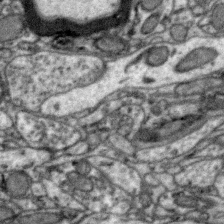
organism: Zebra finch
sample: Brain